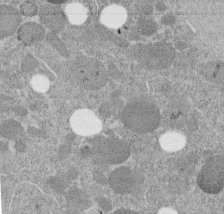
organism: C. elegans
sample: C. elegans embryo early stage